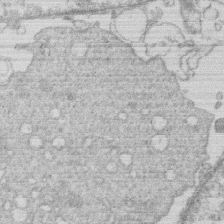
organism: Human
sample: Macrophage cells